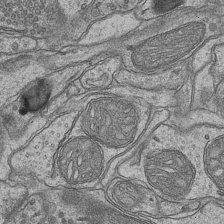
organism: Mouse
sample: CA1 Hippocampus